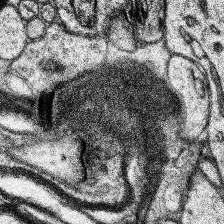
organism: Human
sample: Temporal Lobe